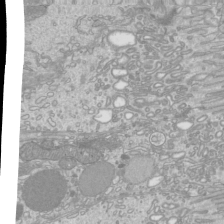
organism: Mouse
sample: Cilia; mouse epididymis